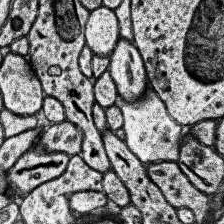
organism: Human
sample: Temporal Lobe